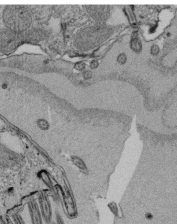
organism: Tetrahymena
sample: Cilia in tetrahymena